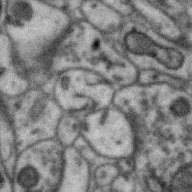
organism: Zebra finch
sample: Brain